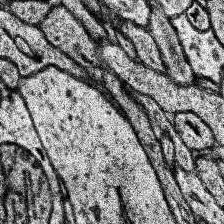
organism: Human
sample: Temporal Lobe